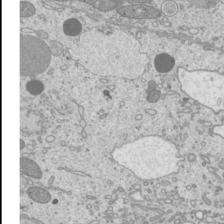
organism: Mouse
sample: Cilia; mouse epididymis